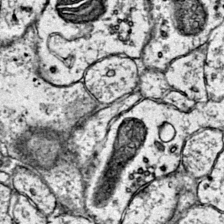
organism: Mouse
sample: Primary visual cortex